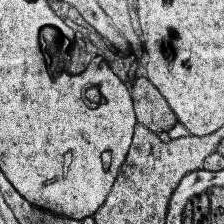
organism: Human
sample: Temporal Lobe